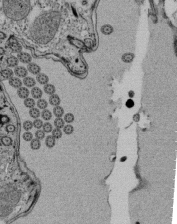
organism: Tetrahymena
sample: Cilia in tetrahymena